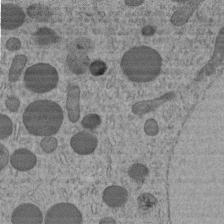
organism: C. elegans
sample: C. elegans embryo early stage